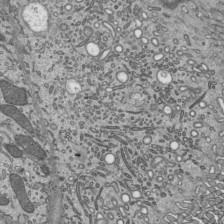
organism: Mouse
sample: Mouse epididymis efferent ductule cilia